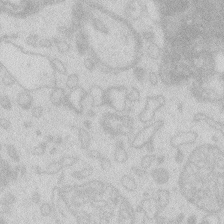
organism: Zebrafish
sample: Macrophage